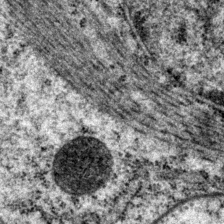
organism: P. pacificus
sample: Pharynx